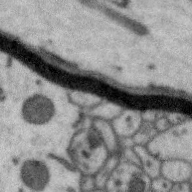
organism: Zebra finch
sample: Brain